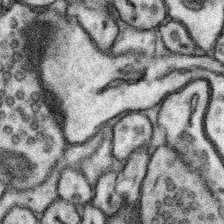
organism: Mouse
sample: Somatosensory cortex neuropil